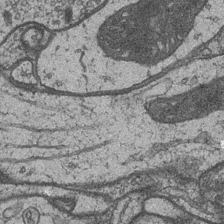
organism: Drosophila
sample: Optic medulla